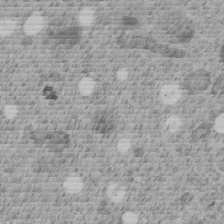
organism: C. elegans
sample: C. elegans embryo early stage